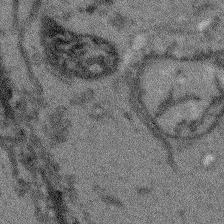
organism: Arabidopsis thaliana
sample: Root tip